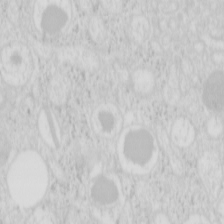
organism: Mouse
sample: Pancreas